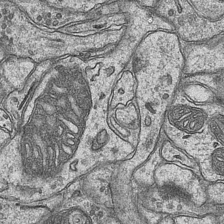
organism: Mouse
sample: CA1 Hippocampus